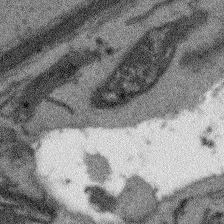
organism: Arabidopsis thaliana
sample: Root tip